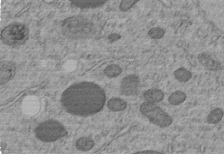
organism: C. elegans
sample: C. elegans embryo early stage